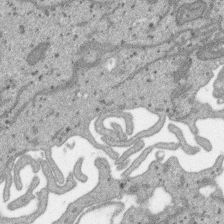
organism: Human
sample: Lung epithelial cells infected with SARS-CoV-2